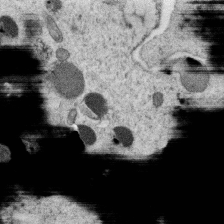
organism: C. elegans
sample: C. elegans oocyte; sperm cells